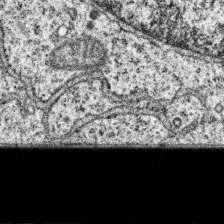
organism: Human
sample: HeLa cells